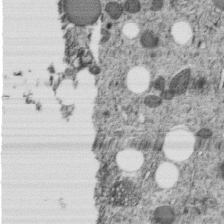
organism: C. elegans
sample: C. elegans embryo early stage